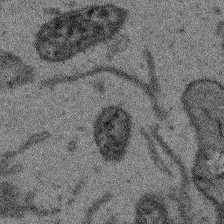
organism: Arabidopsis thaliana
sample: Root tip